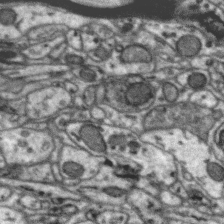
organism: Zebra finch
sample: Brain